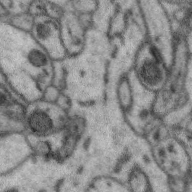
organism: Zebra finch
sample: Brain